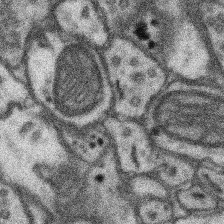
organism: Mouse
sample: Somatosensory cortex neuropil